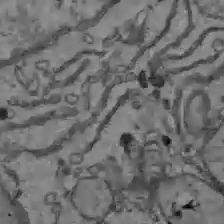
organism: C57BL Mouse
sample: Liver